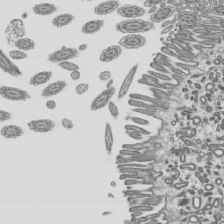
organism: Mouse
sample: Mouse epididymis efferent ductule cilia